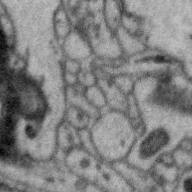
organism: Zebra finch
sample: Brain